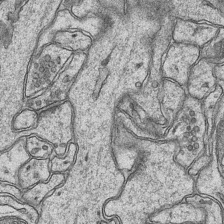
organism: Mouse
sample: CA1 Hippocampus